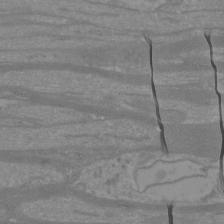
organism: Mouse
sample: Cortical neurons